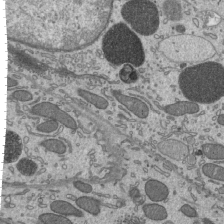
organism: Mouse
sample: Mouse epididymis efferent ductule cilia